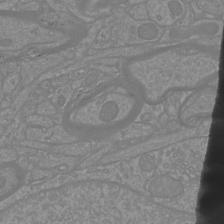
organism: Mouse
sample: Cortical neurons